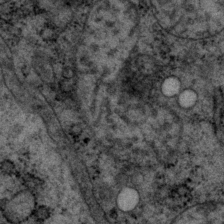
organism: P. pacificus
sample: Pharynx